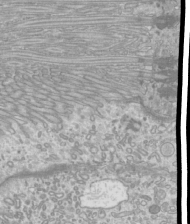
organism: Mouse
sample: Cilia; mouse epididymis